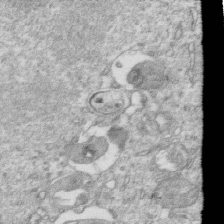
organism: Mouse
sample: Activated OT-1 CD8+ T cells